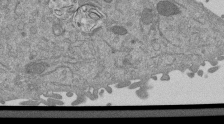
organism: Mouse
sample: ED-1 cell nuclei; centrioles